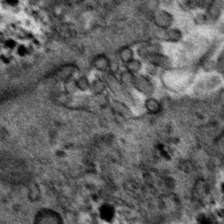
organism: Mouse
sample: Mouse hepatocytes